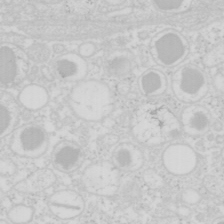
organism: Mouse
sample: Pancreas